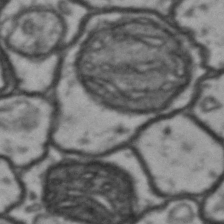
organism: Drosophila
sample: Brain